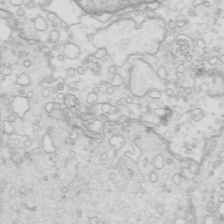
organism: Mouse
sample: Multiciliated cells